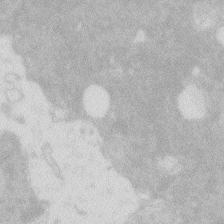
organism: Zebrafish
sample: Macrophage